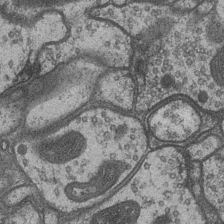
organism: Drosophila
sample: Optic medulla